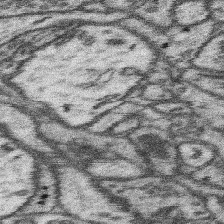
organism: Mouse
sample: Somatosensory cortex neuropil